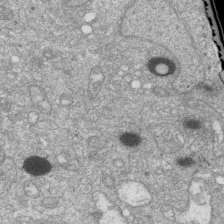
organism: Human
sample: HeLa cell HIV synapse